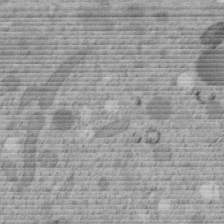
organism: C. elegans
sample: C. elegans embryo early stage